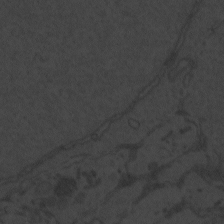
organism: Zebrafish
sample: Macrophage infected with Toxoplasma gondii